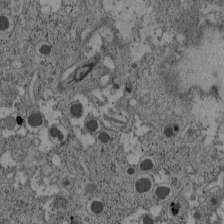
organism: C57BL Mouse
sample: Pancreatic islet